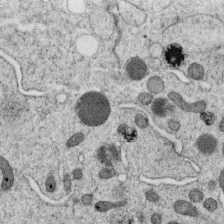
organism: C. elegans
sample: C. elegans oocyte; sperm cells